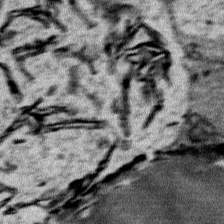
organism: Mouse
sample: Mouse Salivary gland